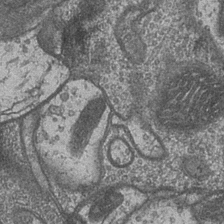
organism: Drosophila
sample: Optic medulla